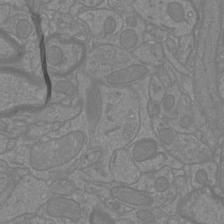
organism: Mouse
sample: Cortical neurons